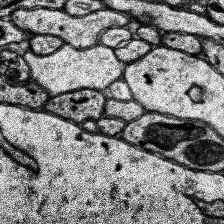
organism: Human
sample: Temporal Lobe